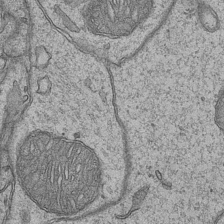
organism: Mouse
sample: CA1 Hippocampus